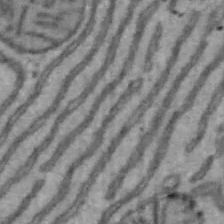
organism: Mouse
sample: Liver